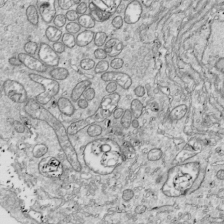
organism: Drosophila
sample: Cell division; meiosis; drosophila spermatocytes